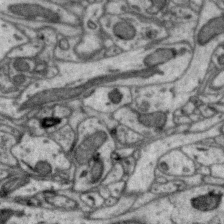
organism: Zebra finch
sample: Brain